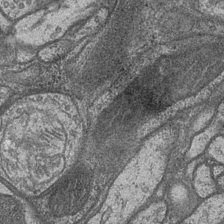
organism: Drosophila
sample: Optic medulla